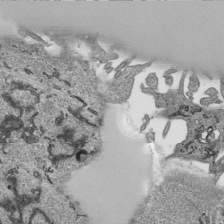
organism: Human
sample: Mitochondria in HCT116 cells